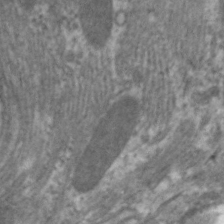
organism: C. elegans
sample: Pharynx